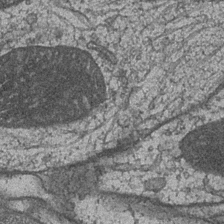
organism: Drosophila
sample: Optic medulla